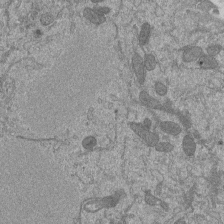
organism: Mouse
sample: ED-1 cell nuclei; centrioles